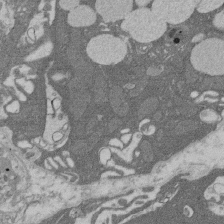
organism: Rat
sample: Salivary granule